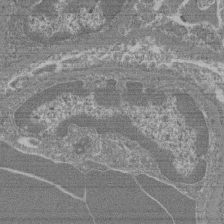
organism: Mouse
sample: Glomerulus